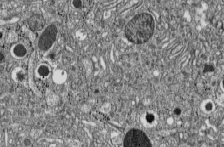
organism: C57BL Mouse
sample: Pancreatic islet